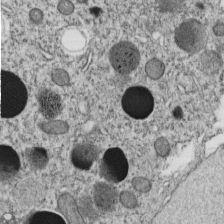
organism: C. elegans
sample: C. elegans embryo early stage